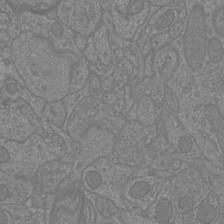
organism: Mouse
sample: Cortical neurons